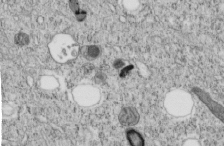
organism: C. elegans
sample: C. elegans embryo early stage